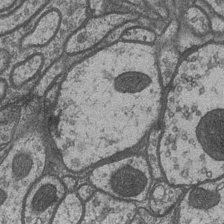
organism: Drosophila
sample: Optic medulla